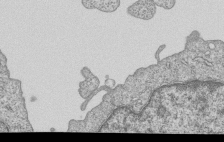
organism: Human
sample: MDA-MB-231 cells